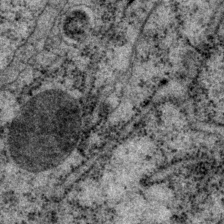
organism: P. pacificus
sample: Pharynx